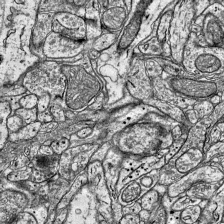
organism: Mouse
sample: Visual Cortex